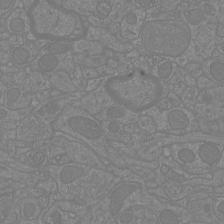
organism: Mouse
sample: Cortical neurons